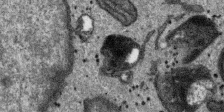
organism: Human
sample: Lung epithelial cells, uninfected (mock) control